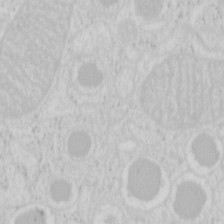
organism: Mouse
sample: Pancreas